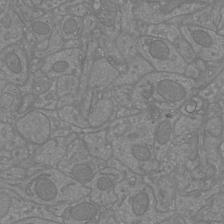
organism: Mouse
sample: Cortical neurons